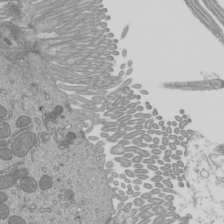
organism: Mouse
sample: Cilia; mouse epididymis